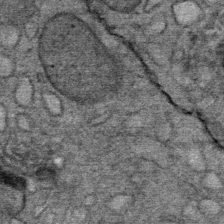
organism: Mouse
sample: Mouse Salivary gland